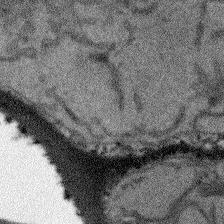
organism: Arabidopsis thaliana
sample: Root tip